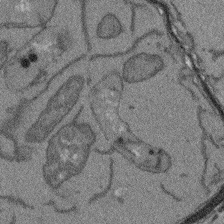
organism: Arabidopsis thaliana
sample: Root tip